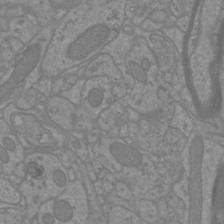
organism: Mouse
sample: Cortical neurons